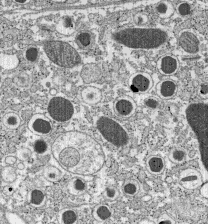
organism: C57BL Mouse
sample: Pancreatic islet